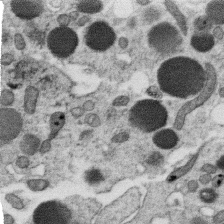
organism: C. elegans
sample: C. elegans oocyte; sperm cells